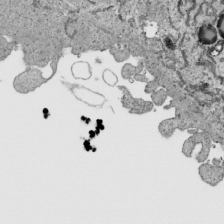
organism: Human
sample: Mitochondria in HCT116 cells